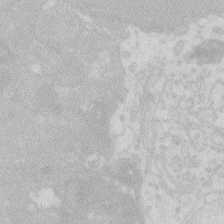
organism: Zebrafish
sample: Macrophage